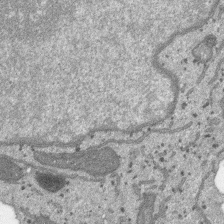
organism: Human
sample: Lung epithelial cells infected with SARS-CoV-2